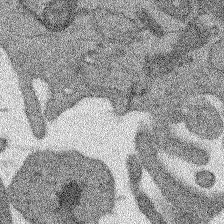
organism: Human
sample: HeLa cells